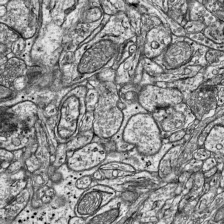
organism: Mouse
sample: Visual Cortex